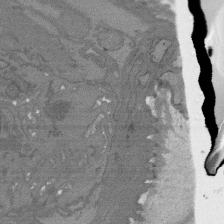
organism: C. elegans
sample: AFD neurons C. elegans